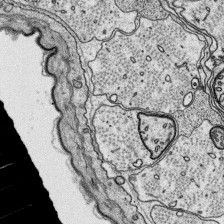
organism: Platynereis dumerilii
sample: Parapodia